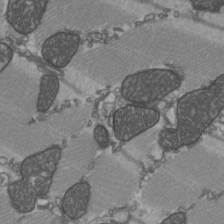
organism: C57BL Mouse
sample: Heart